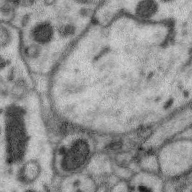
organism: Zebra finch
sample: Brain